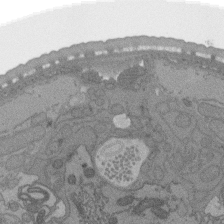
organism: C. elegans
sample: AFD neurons C. elegans